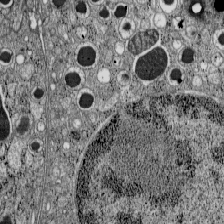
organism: C57BL Mouse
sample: Pancreatic islet